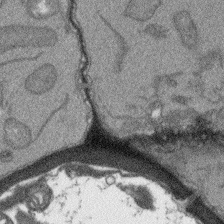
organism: Arabidopsis thaliana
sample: Root tip